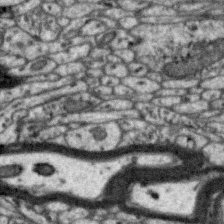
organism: Zebra finch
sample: Brain